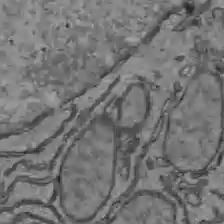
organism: C57BL Mouse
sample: Liver